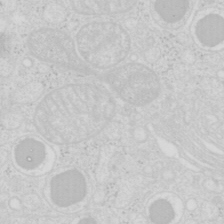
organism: Mouse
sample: Pancreas